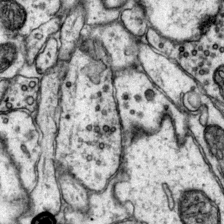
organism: Mouse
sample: Primary visual cortex